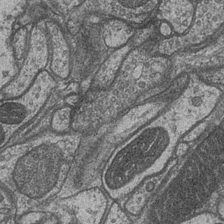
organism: Drosophila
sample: Optic medulla